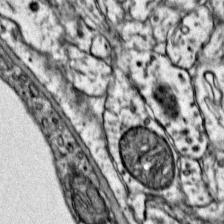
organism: Mouse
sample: Primary visual cortex